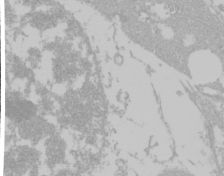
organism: Mouse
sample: Cancer cell death in ED-1 cells